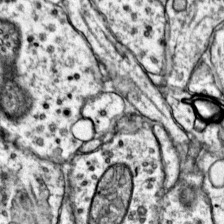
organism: Mouse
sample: Primary visual cortex